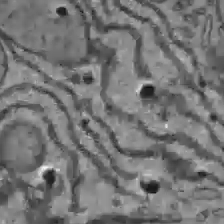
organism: C57BL Mouse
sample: Liver